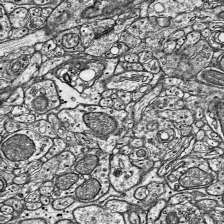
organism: Mouse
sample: Visual Cortex